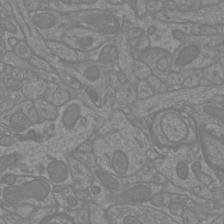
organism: Mouse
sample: Cortical neurons